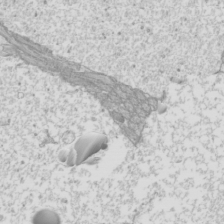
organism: Mouse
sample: Cilia; mouse epididymis